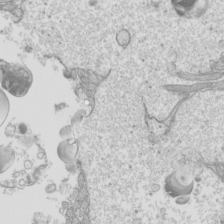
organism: Mouse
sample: Cilia; mouse epididymis